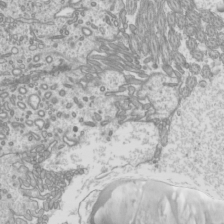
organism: Mouse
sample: Cilia; mouse epididymis